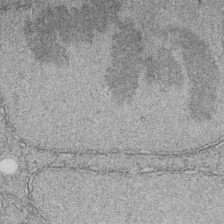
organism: C. elegans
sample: C. elegans embryo early stage